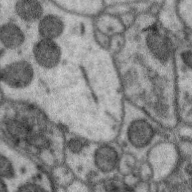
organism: Zebra finch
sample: Brain